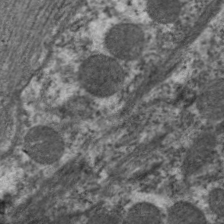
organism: C. elegans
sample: Pharynx